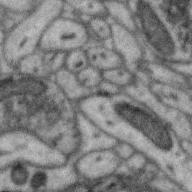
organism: Zebra finch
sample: Brain